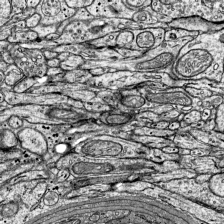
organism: Mouse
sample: Visual Cortex